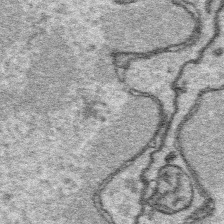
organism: Platynereis dumerilii